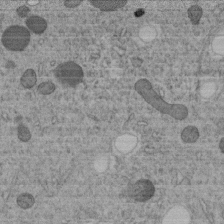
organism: C. elegans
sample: C. elegans embryo early stage